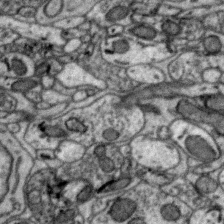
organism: Zebra finch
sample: Brain